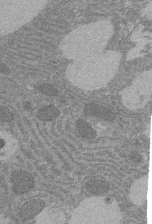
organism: Rat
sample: Salivary granule